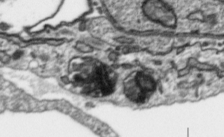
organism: Toxoplasma gondii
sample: Parasites in a vacuole inside a host cell